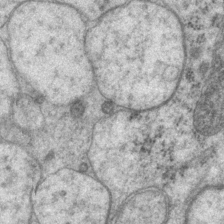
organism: P. pacificus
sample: Pharynx